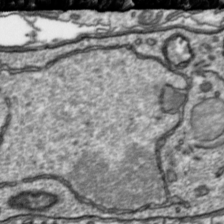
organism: Toxoplasma gondii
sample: Parasites in a vacuole inside a host cell